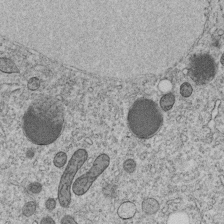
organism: C. elegans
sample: C. elegans embryo early stage